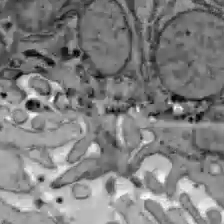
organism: C57BL Mouse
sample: Liver